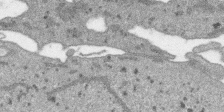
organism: Human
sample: Lung epithelial cells infected with SARS-CoV-2